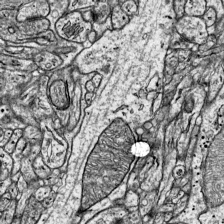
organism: Mouse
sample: Visual Cortex